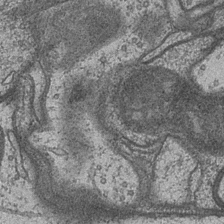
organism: Drosophila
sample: Optic medulla